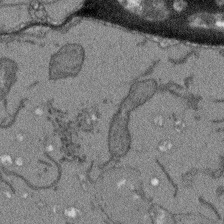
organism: Arabidopsis thaliana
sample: Root tip